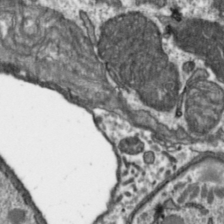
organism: Toxoplasma gondii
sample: Parasites in a vacuole inside a host cell